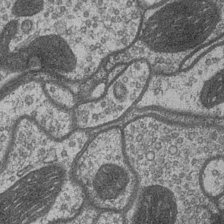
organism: Drosophila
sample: Optic medulla